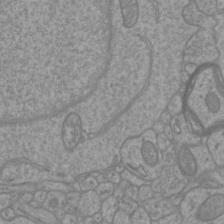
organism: Mouse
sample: Cortical neurons